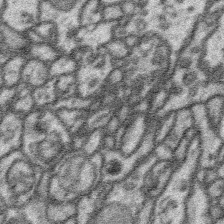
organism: Platynereis dumerilii